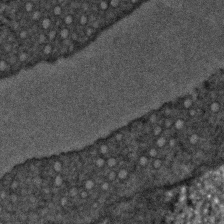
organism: C. elegans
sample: C. elegans embryo